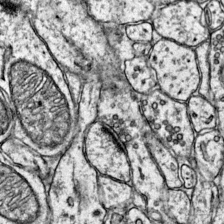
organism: Mouse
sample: Primary visual cortex